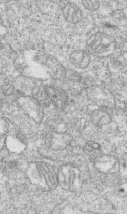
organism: Human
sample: HeLa cell HIV synapse